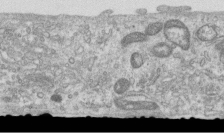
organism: Human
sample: Centriole in RPE cells